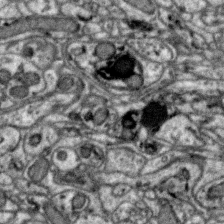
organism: Zebra finch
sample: Brain